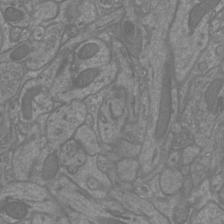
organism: Mouse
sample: Cortical neurons